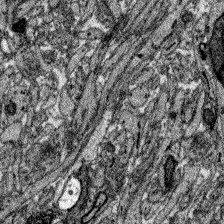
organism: Zebrafish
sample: Larval olfactory bulb